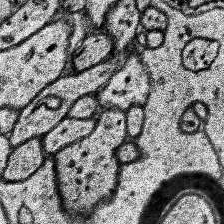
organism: Human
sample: Temporal Lobe